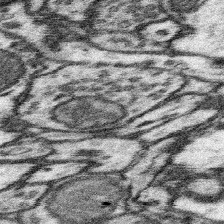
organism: Mouse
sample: Somatosensory cortex neuropil